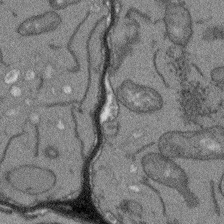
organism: Arabidopsis thaliana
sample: Root tip